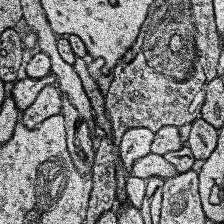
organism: Human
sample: Temporal Lobe